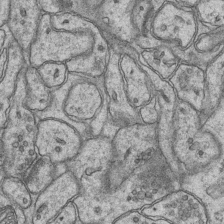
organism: Mouse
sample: CA1 Hippocampus